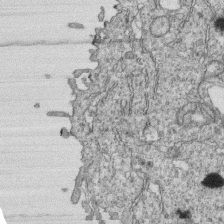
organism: Human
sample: HeLa cell HIV synapse